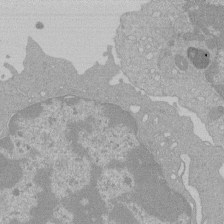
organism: Mouse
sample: Activated Pmel transgenic CD8+ T Cells